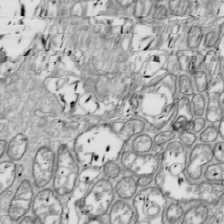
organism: Drosophila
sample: Cell division; meiosis; drosophila spermatocytes